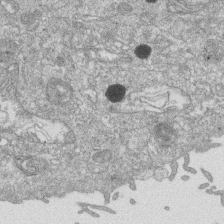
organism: Human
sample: HeLa cell HIV synapse